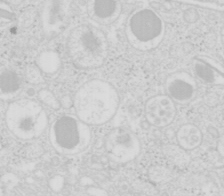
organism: Mouse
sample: Pancreas